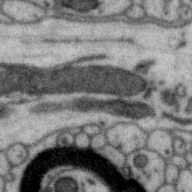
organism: Zebra finch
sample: Brain